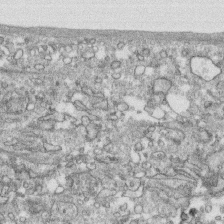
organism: Human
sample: CRL-1474